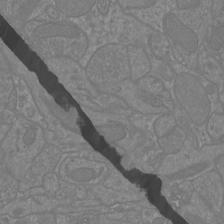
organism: Mouse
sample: Cortical neurons